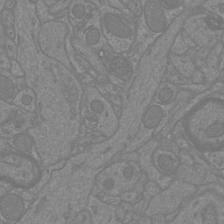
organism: Mouse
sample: Cortical neurons